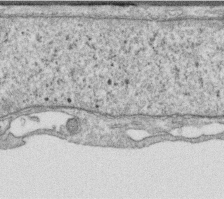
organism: Human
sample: Centriole in RPE cells